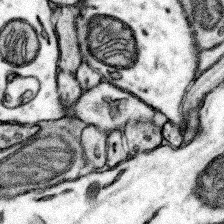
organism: Mouse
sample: Somatosensory cortex neuropil